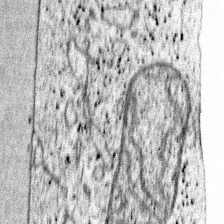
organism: Human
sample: HeLa cells